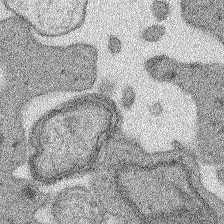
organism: Human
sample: HeLa cells